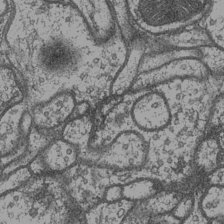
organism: Drosophila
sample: Optic medulla